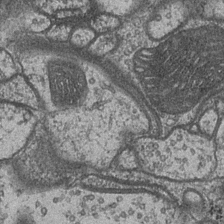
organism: Drosophila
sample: Optic medulla